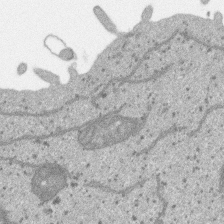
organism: Human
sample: Lung epithelial cells infected with SARS-CoV-2